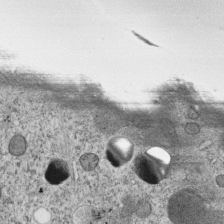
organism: C. elegans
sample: C. elegans embryo early stage